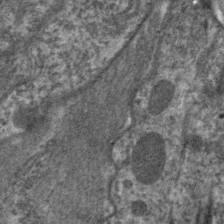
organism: C. elegans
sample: Pharynx